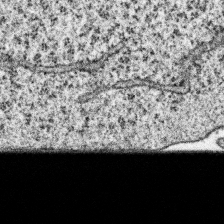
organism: Human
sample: HeLa cells